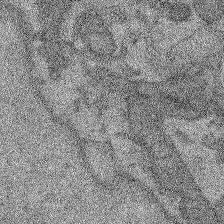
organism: Human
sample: HeLa cells